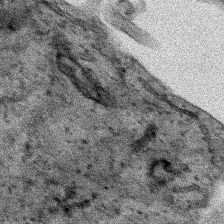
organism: Human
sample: Mitochondria in HCT116 cells